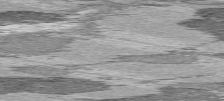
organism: C57BL Mouse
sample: Heart